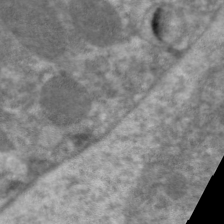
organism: C. elegans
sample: Pharynx